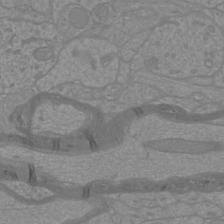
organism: Mouse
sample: Cortical neurons